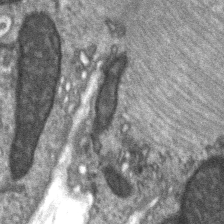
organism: C57BL Mouse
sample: Soleus